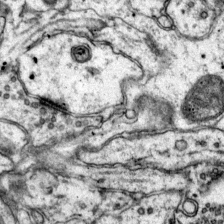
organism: Mouse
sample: Primary visual cortex